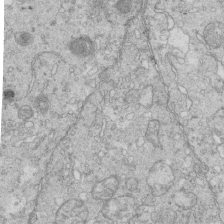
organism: Mouse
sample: Multiciliated cells